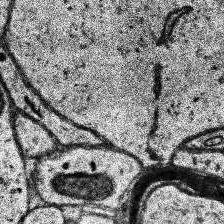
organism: Human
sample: Temporal Lobe